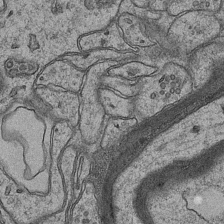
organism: Mouse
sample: CA1 Hippocampus